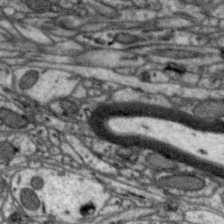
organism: Zebra finch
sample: Brain